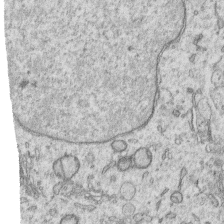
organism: Human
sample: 1205lu cells